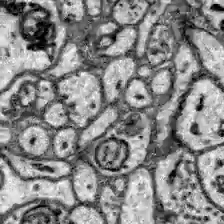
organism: Zebrafish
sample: Brain